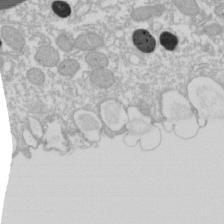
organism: Xenopus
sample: Cilia; centrioles in frog embryo cells